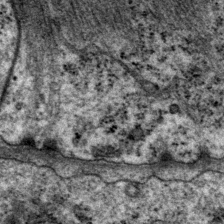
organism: P. pacificus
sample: Pharynx